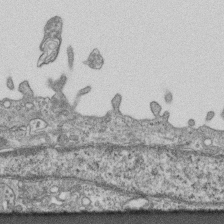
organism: Mouse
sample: Centriole in ependymal cells